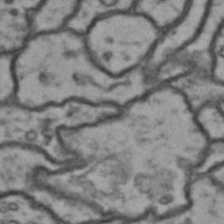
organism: Drosophila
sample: Brain